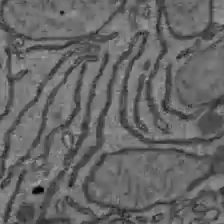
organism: C57BL Mouse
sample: Liver